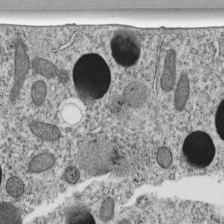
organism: C. elegans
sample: C. elegans embryo early stage